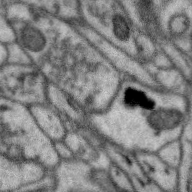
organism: Zebra finch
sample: Brain